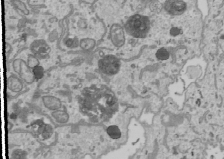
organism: Human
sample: Mitochondria in U2OS cells